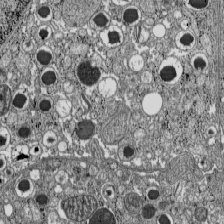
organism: C57BL Mouse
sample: Pancreatic islet